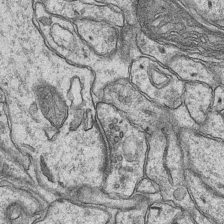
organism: Mouse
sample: CA1 Hippocampus